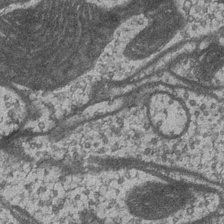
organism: Drosophila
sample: Optic medulla